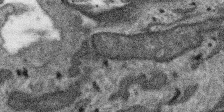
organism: Human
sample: Lung epithelial cells infected with SARS-CoV-2